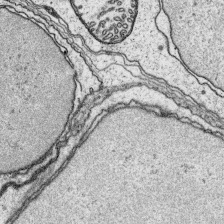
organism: Platynereis dumerilii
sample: Parapodia